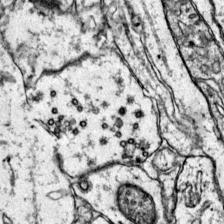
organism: Mouse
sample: Primary visual cortex